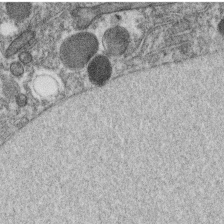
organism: C. elegans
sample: C. elegans oocyte; sperm cells